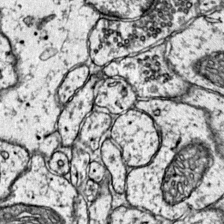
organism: Mouse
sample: Primary visual cortex